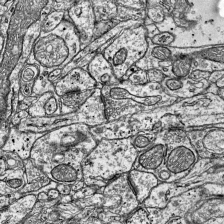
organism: Mouse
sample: Visual Cortex